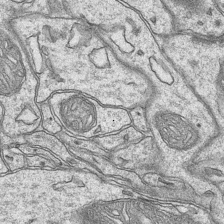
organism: Mouse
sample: CA1 Hippocampus